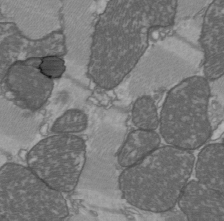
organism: C57BL Mouse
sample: Heart